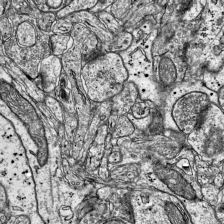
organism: Mouse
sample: Visual Cortex